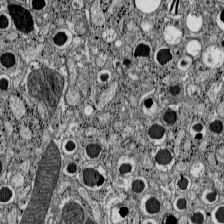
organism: C57BL Mouse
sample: Pancreatic islet